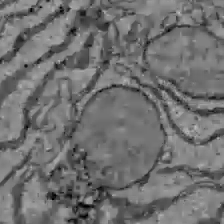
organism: C57BL Mouse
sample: Liver